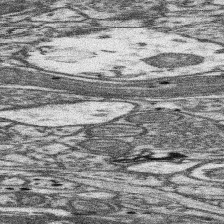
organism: Mouse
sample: Somatosensory cortex neuropil